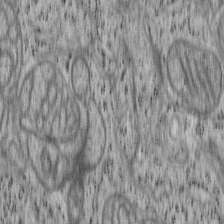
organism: Human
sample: HeLa cells